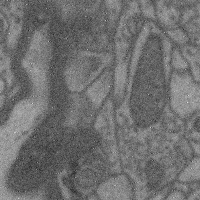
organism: Mouse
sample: Cerebral cortex